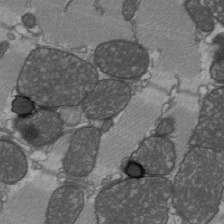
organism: C57BL Mouse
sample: Heart